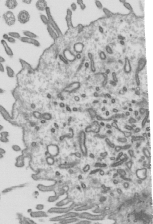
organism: Mouse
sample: Mouse epididymis efferent ductule cilia